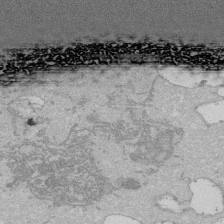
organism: Human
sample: Activated Jurkat CD4+ T cells